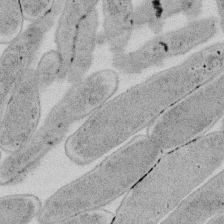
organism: E. coli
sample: Bacterial nucleoid